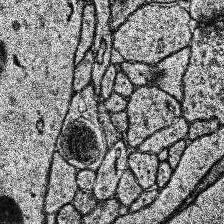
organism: Human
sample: Temporal Lobe